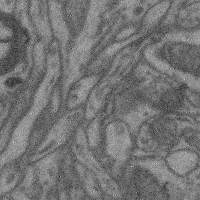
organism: Mouse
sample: Cerebral cortex